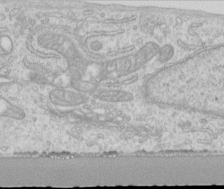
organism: Human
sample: Centriole in RPE cells